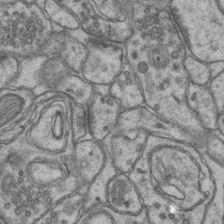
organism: Mouse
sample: CA1 Hippocampus